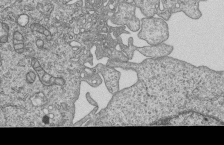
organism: Human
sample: MDA-MB-231 cells